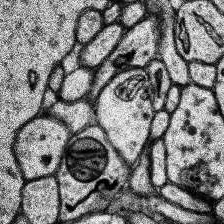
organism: Human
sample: Temporal Lobe